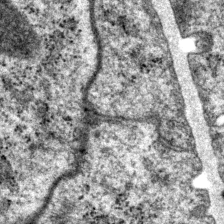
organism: P. pacificus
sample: Pharynx